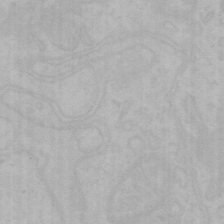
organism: Mouse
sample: Choroid plexus